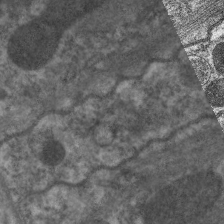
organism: C. elegans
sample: Pharynx